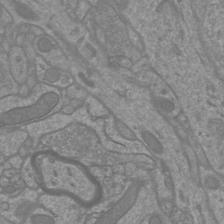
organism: Mouse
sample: Cortical neurons